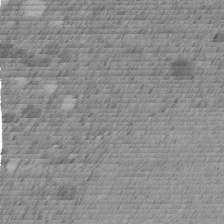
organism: C. elegans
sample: C. elegans embryo early stage